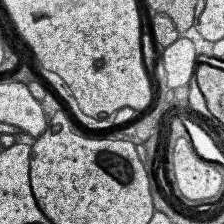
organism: Human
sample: Temporal Lobe